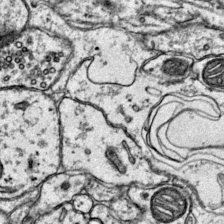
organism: Mouse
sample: Primary visual cortex